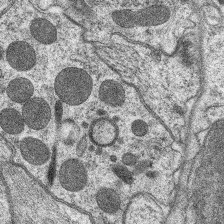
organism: C. elegans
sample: Pharynx